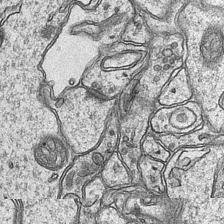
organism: Mouse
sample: CA1 Hippocampus